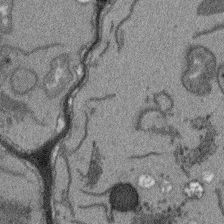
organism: Arabidopsis thaliana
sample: Root tip